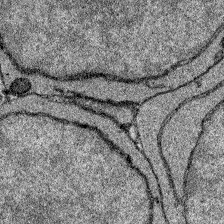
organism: Zebrafish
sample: Larval olfactory bulb